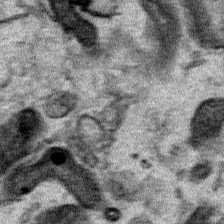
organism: Human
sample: Mitochondria in HCT116 cells